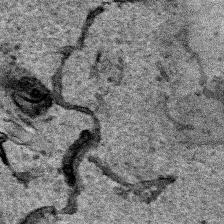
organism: Human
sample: Mitochondria in HCT116 cells